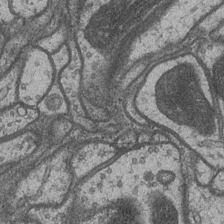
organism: Drosophila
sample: Optic medulla